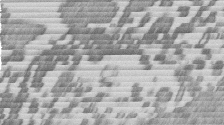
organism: Mouse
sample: Dividing mouse embryo 1 cell stage